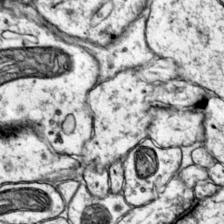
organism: Mouse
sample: Primary visual cortex